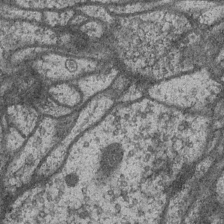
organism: Drosophila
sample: Optic medulla